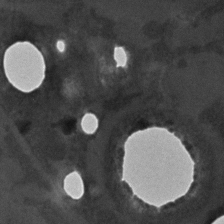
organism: C. elegans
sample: C. elegans embryo